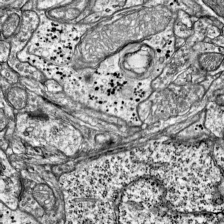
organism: Mouse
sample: Visual Cortex